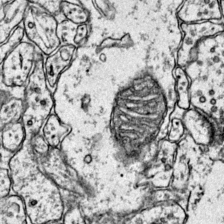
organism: Mouse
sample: Primary visual cortex